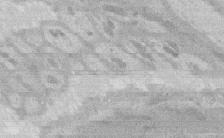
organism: Rat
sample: Salivary granule